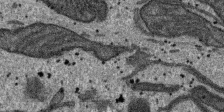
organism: Human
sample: Lung epithelial cells, uninfected (mock) control